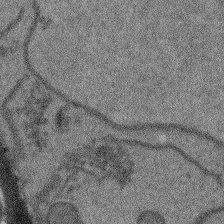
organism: Arabidopsis thaliana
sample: Root tip